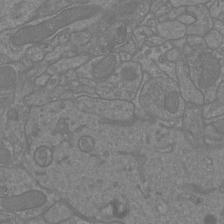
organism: Mouse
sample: Cortical neurons